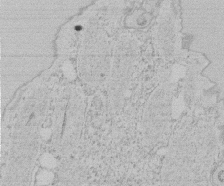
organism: Tetrahymena